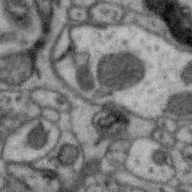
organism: Zebra finch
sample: Brain